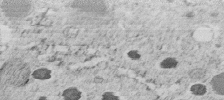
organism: C. elegans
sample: C. elegans embryo early stage